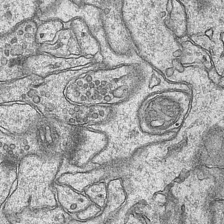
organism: Mouse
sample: CA1 Hippocampus